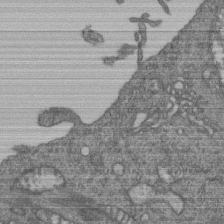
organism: Human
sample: Retinal organoid Rod and Cone cells